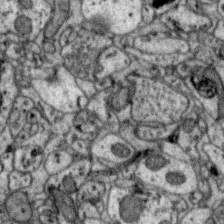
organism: Zebra finch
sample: Brain